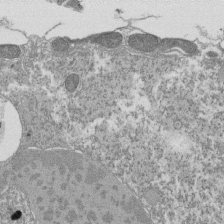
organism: Tetrahymena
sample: Cilia in tetrahymena